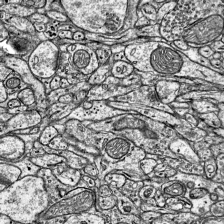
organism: Mouse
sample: Visual Cortex